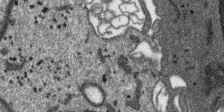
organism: Human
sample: Lung epithelial cells infected with SARS-CoV-2